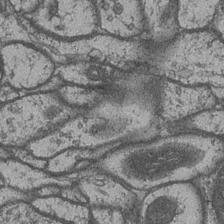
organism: Drosophila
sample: Optic medulla